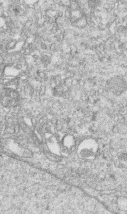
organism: Human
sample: HeLa cell HIV synapse